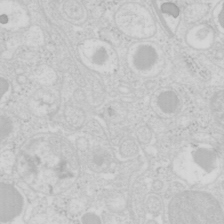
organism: Mouse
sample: Pancreas